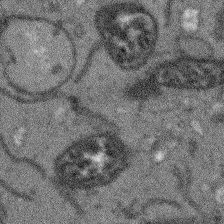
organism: Arabidopsis thaliana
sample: Root tip